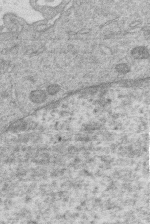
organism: Human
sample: Macrophage cells